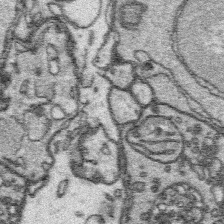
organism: Platynereis dumerilii